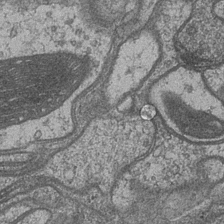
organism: Drosophila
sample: Optic medulla